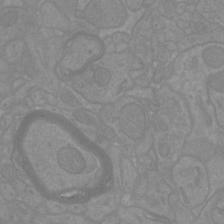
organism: Mouse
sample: Cortical neurons